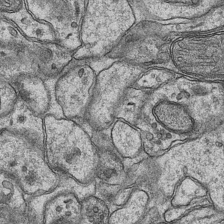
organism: Mouse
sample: CA1 Hippocampus